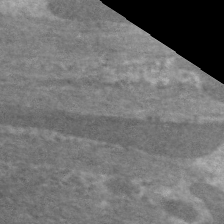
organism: C. elegans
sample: Pharynx